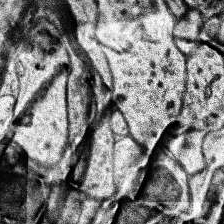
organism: Human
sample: Temporal Lobe